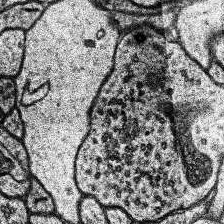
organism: Human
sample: Temporal Lobe